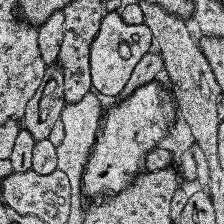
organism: Human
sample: Temporal Lobe